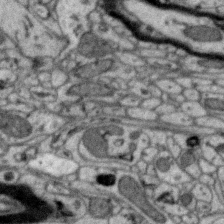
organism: Zebra finch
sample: Brain